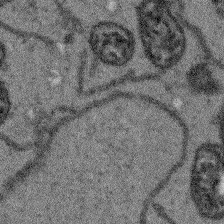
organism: Arabidopsis thaliana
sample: Root tip